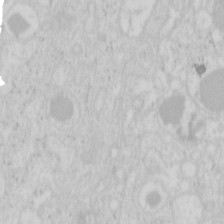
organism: Mouse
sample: Pancreas